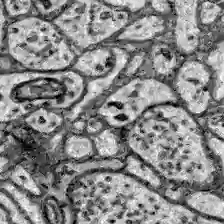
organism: Zebrafish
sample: Brain